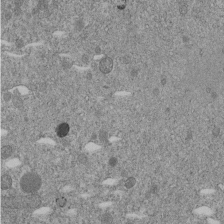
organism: C. elegans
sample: C. elegans embryo early stage